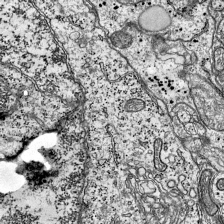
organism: Mouse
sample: Visual Cortex